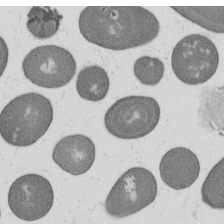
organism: B. subtilis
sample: Bacterial spore